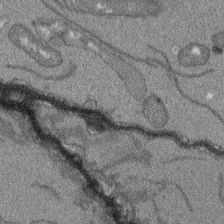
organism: Arabidopsis thaliana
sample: Root tip